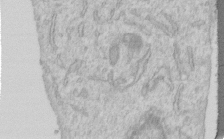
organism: Human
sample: Centriole in RPE cells